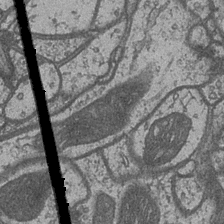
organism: Drosophila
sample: Optic medulla